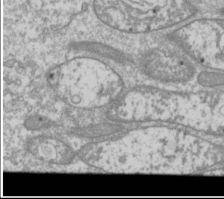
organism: Drosophila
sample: Cell division; meiosis; drosophila spermatocytes